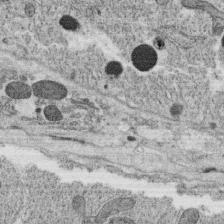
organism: C. elegans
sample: C. elegans oocyte; sperm cells